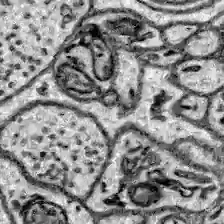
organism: Zebrafish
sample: Brain